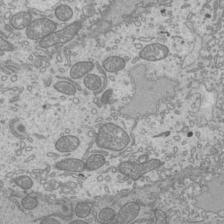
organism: Mouse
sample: Cilia; mouse epididymis